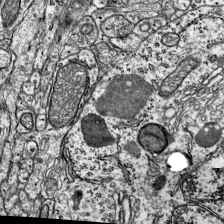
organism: Mouse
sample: Visual Cortex